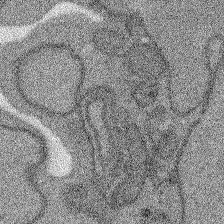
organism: Human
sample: HeLa cells